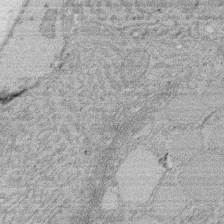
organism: Rat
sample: Salivary granule